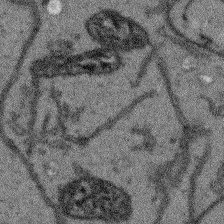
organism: Arabidopsis thaliana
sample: Root tip